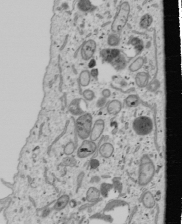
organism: Human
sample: Mitochondria in U2OS cells